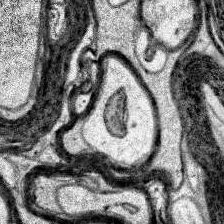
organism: Human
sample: Temporal Lobe